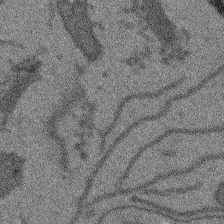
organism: Arabidopsis thaliana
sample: Root tip